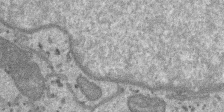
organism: Human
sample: Lung epithelial cells infected with SARS-CoV-2